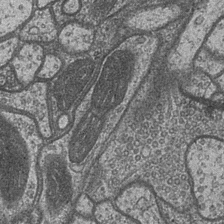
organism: Drosophila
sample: Optic medulla